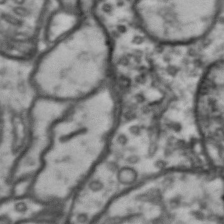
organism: Drosophila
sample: Brain